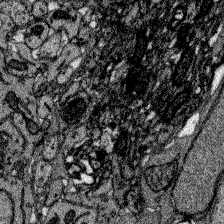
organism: Zebrafish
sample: Larval olfactory bulb